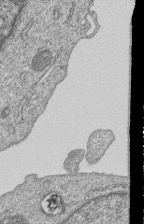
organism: Human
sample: MDA-MB-231 cells